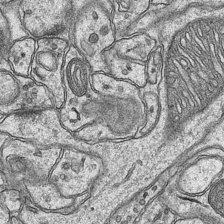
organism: Mouse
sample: CA1 Hippocampus